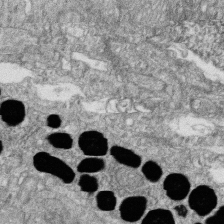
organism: Zebrafish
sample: Cilia; retinal pigment epithelium